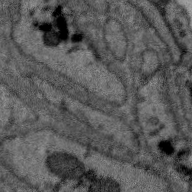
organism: Zebra finch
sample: Brain